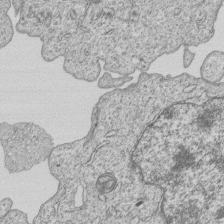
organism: Human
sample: MDA-MB-231 cells